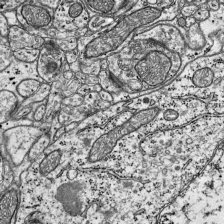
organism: Mouse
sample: Visual Cortex